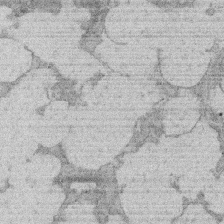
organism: Rat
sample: Salivary granule